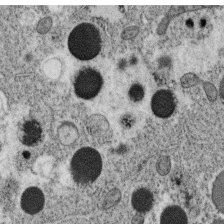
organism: C. elegans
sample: C. elegans oocyte; sperm cells